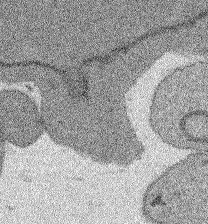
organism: Human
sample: HeLa cells